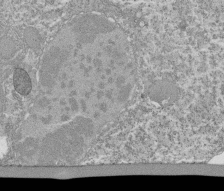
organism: Tetrahymena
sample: Cilia in tetrahymena